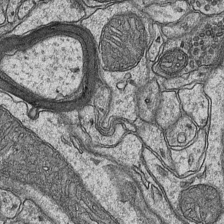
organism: Mouse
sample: CA1 Hippocampus